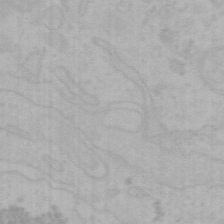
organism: Mouse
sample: Choroid plexus